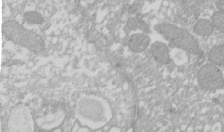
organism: Xenopus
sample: Cilia; centrioles in frog embryo cells